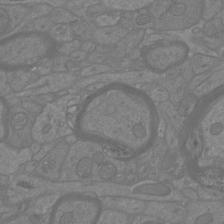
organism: Mouse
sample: Cortical neurons